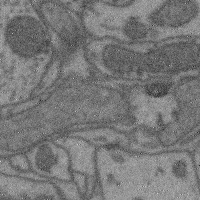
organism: Mouse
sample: Cerebral cortex